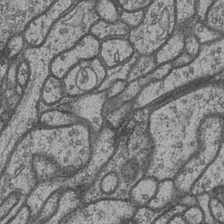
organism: Drosophila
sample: Optic medulla